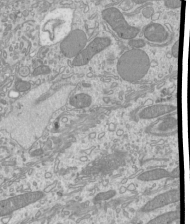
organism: Mouse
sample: Cilia; mouse epididymis